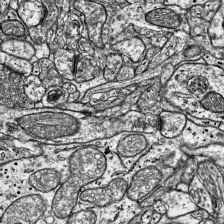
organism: Mouse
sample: Visual Cortex